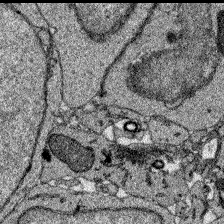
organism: Zebrafish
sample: Larval olfactory bulb